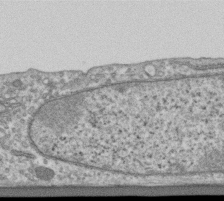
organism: Human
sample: Centriole in RPE cells